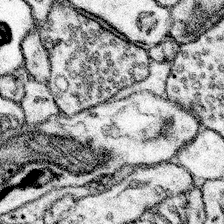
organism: Mouse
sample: Somatosensory cortex neuropil